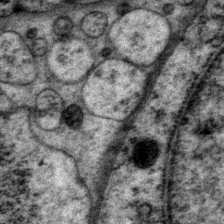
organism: P. pacificus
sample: Pharynx